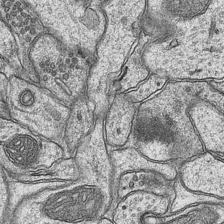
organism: Mouse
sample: CA1 Hippocampus